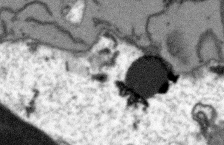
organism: Arabidopsis thaliana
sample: Root tip